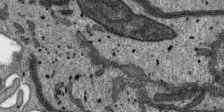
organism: Human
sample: Lung epithelial cells, uninfected (mock) control